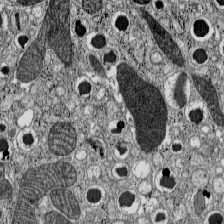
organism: C57BL Mouse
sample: Pancreatic islet